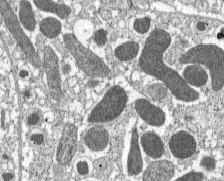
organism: C57BL Mouse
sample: Pancreatic islet